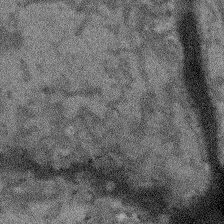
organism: Arabidopsis thaliana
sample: Root tip